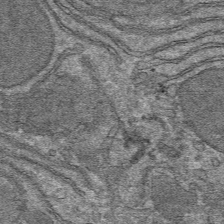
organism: Mouse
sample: Mouse hepatocytes